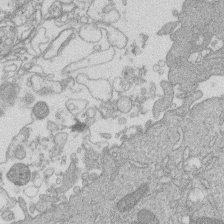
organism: Human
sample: Macrophage cells